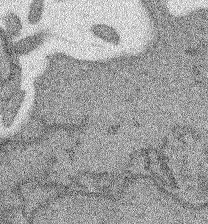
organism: Human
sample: HeLa cells